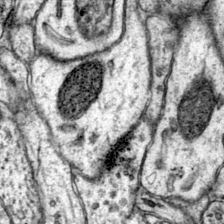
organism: Mouse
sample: Primary visual cortex